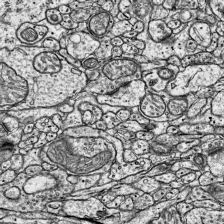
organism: Mouse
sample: Visual Cortex